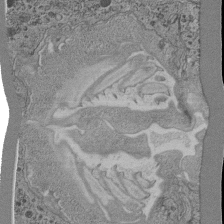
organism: C. elegans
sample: C. elegans pharynx